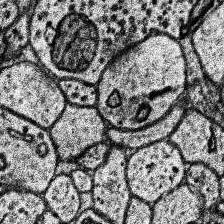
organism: Human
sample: Temporal Lobe